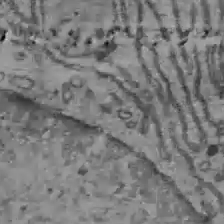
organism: C57BL Mouse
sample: Liver